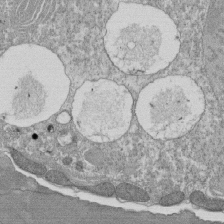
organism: Tetrahymena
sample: Cilia in tetrahymena